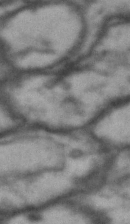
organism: Drosophila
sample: Brain